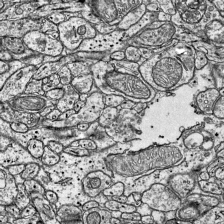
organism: Mouse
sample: Visual Cortex